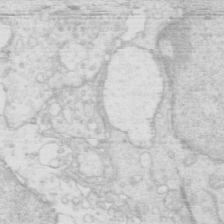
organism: Mouse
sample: Multiciliated cells